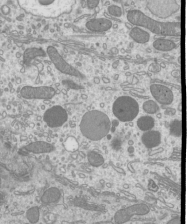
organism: Mouse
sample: Cilia; mouse epididymis